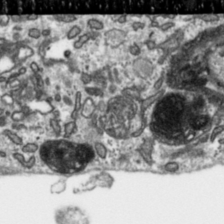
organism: Toxoplasma gondii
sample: Parasites in a vacuole inside a host cell